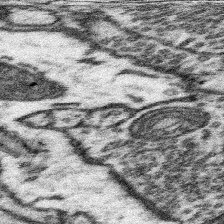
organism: Mouse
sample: Somatosensory cortex neuropil